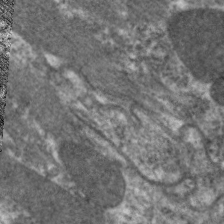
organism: C. elegans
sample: Pharynx